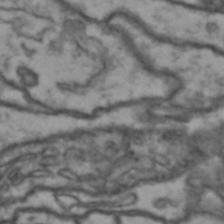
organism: Drosophila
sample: Brain